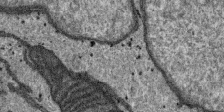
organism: Human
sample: Lung epithelial cells, uninfected (mock) control